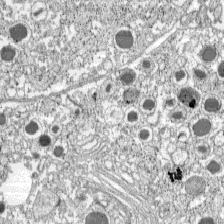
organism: C57BL Mouse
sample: Pancreatic islet